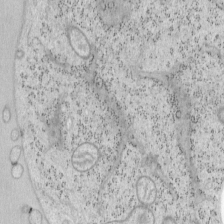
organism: Mouse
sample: OT-I killer T cells with ID8 ovarian cancer cells